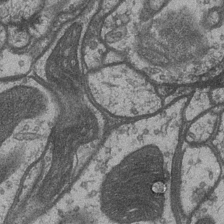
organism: Drosophila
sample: Optic medulla